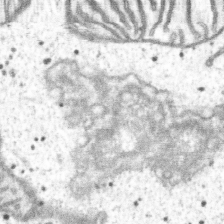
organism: Human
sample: HeLa cells